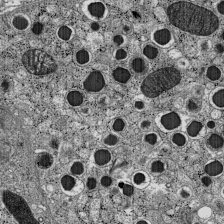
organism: C57BL Mouse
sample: Pancreatic islet